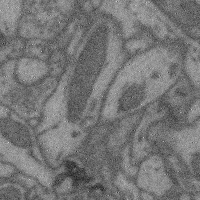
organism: Mouse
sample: Cerebral cortex